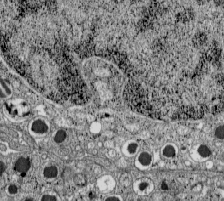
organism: C57BL Mouse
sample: Pancreatic islet